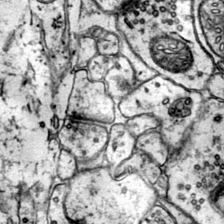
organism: Mouse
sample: Primary visual cortex